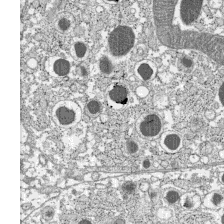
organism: C57BL Mouse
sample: Pancreatic islet